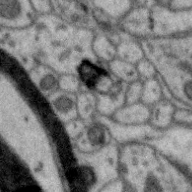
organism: Zebra finch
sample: Brain